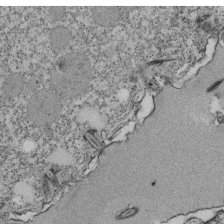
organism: Tetrahymena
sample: Cilia in tetrahymena